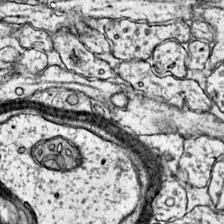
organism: Mouse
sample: Primary visual cortex